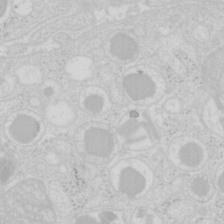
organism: Mouse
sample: Pancreas